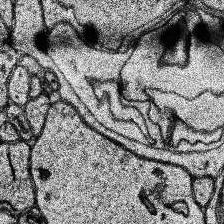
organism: Human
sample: Temporal Lobe